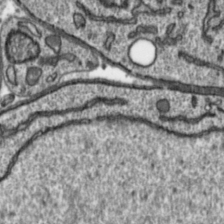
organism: Toxoplasma gondii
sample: Parasites in a vacuole inside a host cell